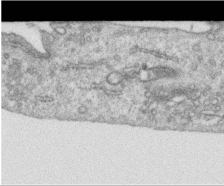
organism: Human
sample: Centriole in RPE cells